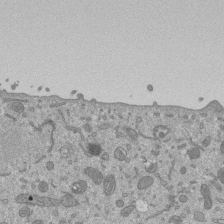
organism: Mouse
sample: ED-1 cell nuclei; centrioles